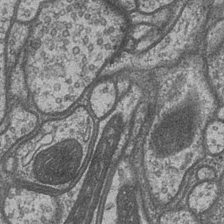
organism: Drosophila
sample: Optic medulla